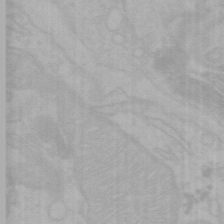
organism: Mouse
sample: Choroid plexus